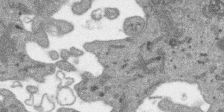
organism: Human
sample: Lung epithelial cells infected with SARS-CoV-2